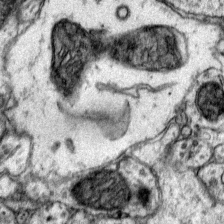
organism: Mouse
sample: Primary visual cortex